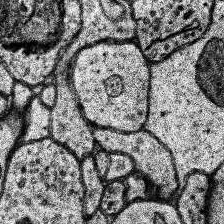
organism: Human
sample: Temporal Lobe